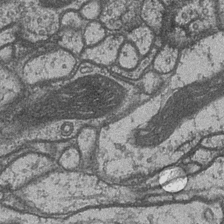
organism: Drosophila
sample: Optic medulla